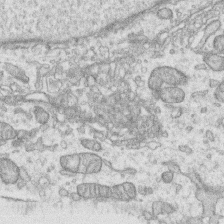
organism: Human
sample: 1205lu cells